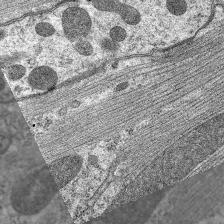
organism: C. elegans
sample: Pharynx